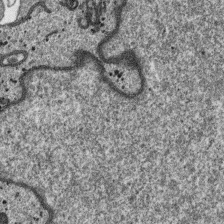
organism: Human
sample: Lung epithelial cells infected with SARS-CoV-2